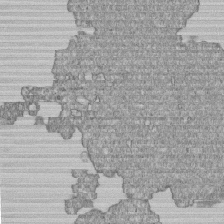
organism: Human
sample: MDA-MB-231 cells